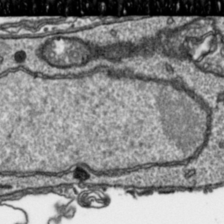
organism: Toxoplasma gondii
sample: Parasites in a vacuole inside a host cell